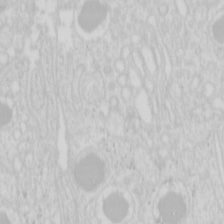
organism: Mouse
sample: Pancreas